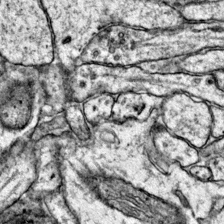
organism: Mouse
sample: Primary visual cortex